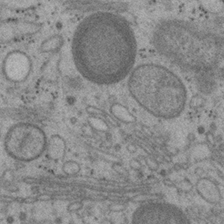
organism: Human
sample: HeLa cells